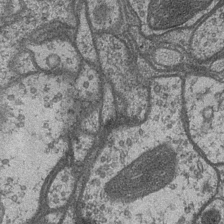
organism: Drosophila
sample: Optic medulla